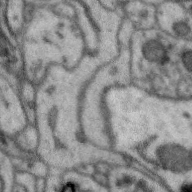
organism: Zebra finch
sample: Brain